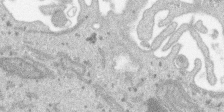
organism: Human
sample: Lung epithelial cells infected with SARS-CoV-2